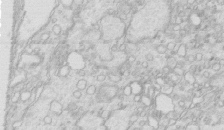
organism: Mouse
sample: Multiciliated cells